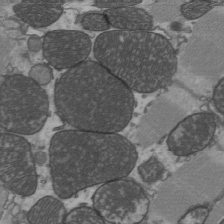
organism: C57BL Mouse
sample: Heart